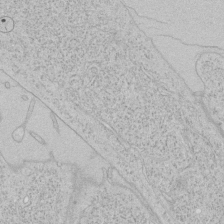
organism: Human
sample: Mitochondria in HCT116 cells